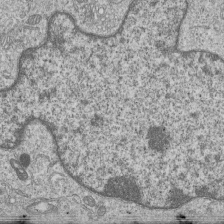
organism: Human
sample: MDA-MB-231 cells